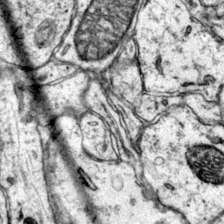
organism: Mouse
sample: Primary visual cortex